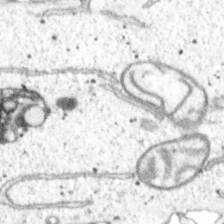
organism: Human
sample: HeLa cells